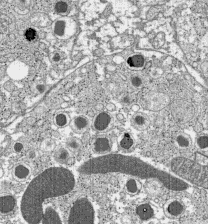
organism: C57BL Mouse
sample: Pancreatic islet